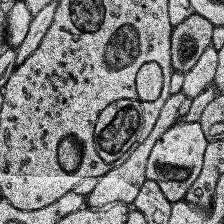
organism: Human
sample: Temporal Lobe